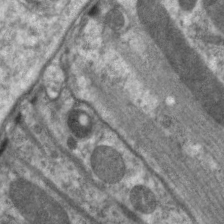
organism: C. elegans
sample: Pharynx